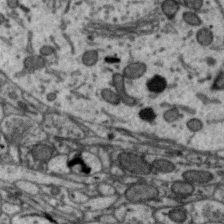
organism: Zebra finch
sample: Brain